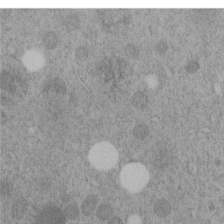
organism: C. elegans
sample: C. elegans embryo early stage